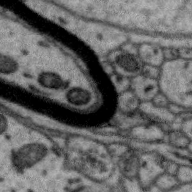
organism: Zebra finch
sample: Brain